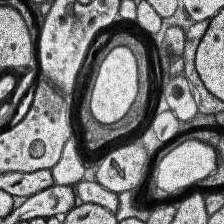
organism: Human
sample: Temporal Lobe